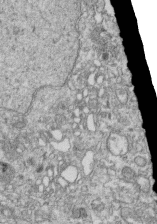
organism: Human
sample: HeLa cell HIV synapse